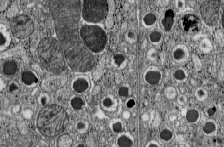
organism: C57BL Mouse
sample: Pancreatic islet